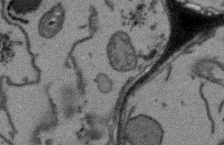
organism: Arabidopsis thaliana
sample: Root tip